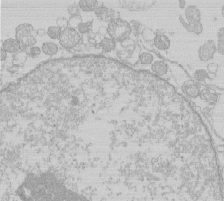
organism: Human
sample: Macrophage cells